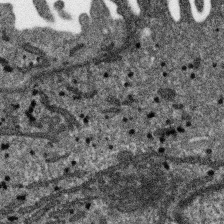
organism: Human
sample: Lung epithelial cells infected with SARS-CoV-2